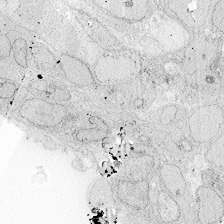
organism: Zebrafish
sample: Whole-Brain